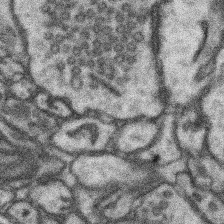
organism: Mouse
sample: Somatosensory cortex neuropil